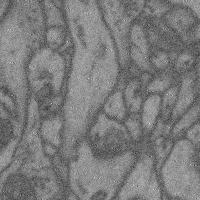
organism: Mouse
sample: Cerebral cortex